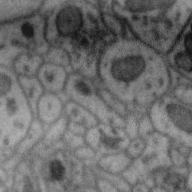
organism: Zebra finch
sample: Brain